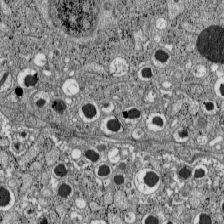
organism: C57BL Mouse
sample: Pancreatic islet